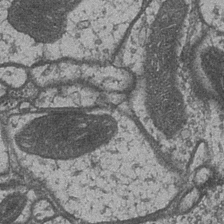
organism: Drosophila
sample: Optic medulla